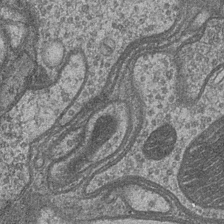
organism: Drosophila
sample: Optic medulla